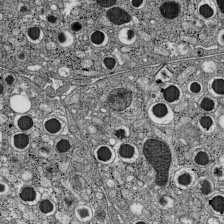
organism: C57BL Mouse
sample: Pancreatic islet